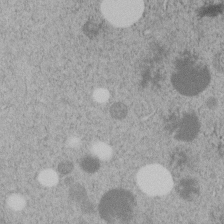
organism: C. elegans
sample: C. elegans embryo early stage